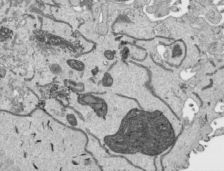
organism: Human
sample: Mitochondria in HCT116 cells